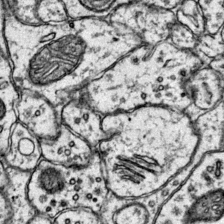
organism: Mouse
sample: Primary visual cortex